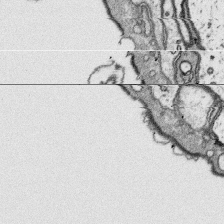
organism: Platynereis dumerilii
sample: Parapodia